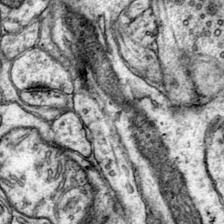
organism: Mouse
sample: Primary visual cortex